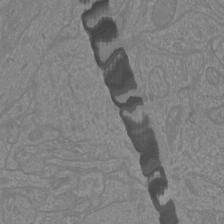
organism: Mouse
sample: Cortical neurons